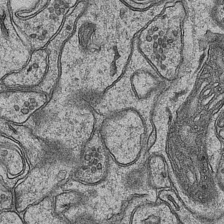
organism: Mouse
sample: CA1 Hippocampus